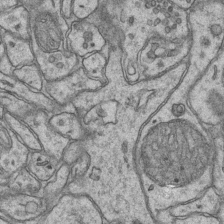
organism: Mouse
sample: CA1 Hippocampus